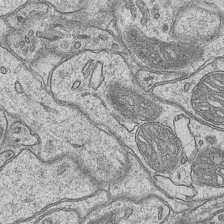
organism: Mouse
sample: CA1 Hippocampus